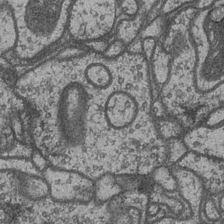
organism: Drosophila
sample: Optic medulla